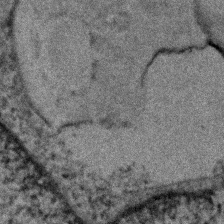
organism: Human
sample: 1205lu cells